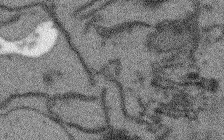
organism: Arabidopsis thaliana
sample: Root tip